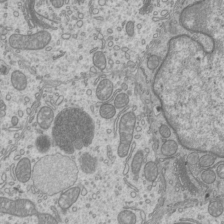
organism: Mouse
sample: Cilia; mouse epididymis